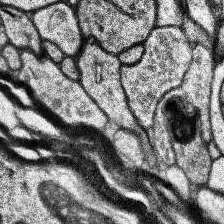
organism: Human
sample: Temporal Lobe